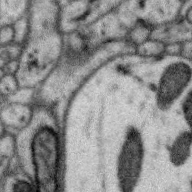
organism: Zebra finch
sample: Brain